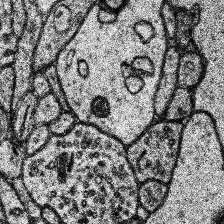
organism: Human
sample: Temporal Lobe